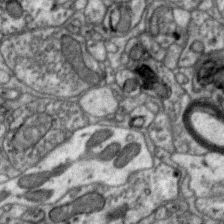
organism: Zebra finch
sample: Brain